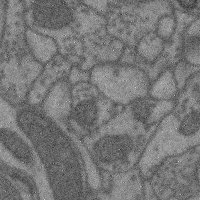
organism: Mouse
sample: Cerebral cortex